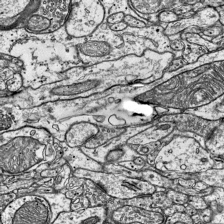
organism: Mouse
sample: Visual Cortex